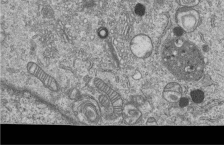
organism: Human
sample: MDA-MB-231 cells